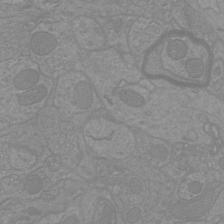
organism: Mouse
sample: Cortical neurons